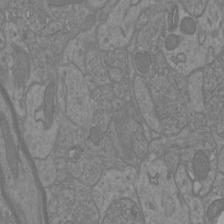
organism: Mouse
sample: Cortical neurons